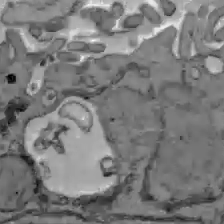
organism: C57BL Mouse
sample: Liver